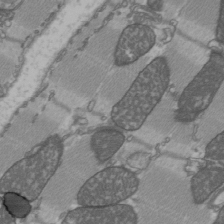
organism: C57BL Mouse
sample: Heart